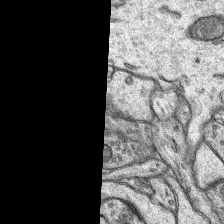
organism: Rat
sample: Hippocampus